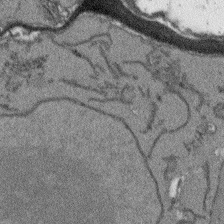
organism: Arabidopsis thaliana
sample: Root tip